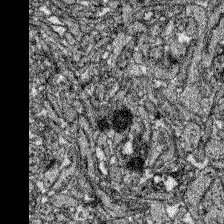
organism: Zebrafish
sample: Larval olfactory bulb